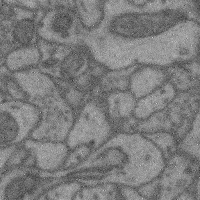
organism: Mouse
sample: Cerebral cortex